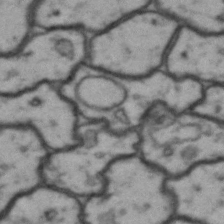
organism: Drosophila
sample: Brain